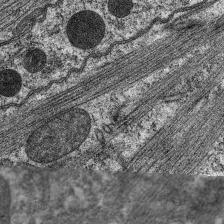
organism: C. elegans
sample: Pharynx